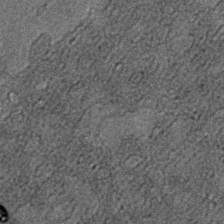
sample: Trachea